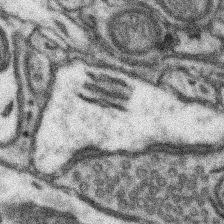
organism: Mouse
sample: Somatosensory cortex neuropil